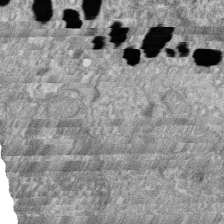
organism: Zebrafish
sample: Cilia; retinal pigment epithelium